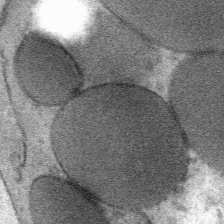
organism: Mouse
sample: Mouse Salivary gland